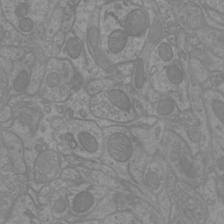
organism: Mouse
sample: Cortical neurons